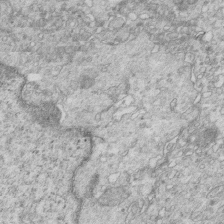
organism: Mouse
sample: Multiciliated cells